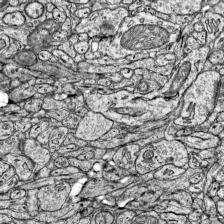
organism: Mouse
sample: Visual Cortex